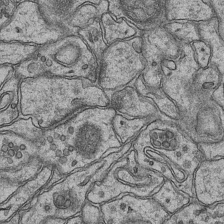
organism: Mouse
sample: CA1 Hippocampus